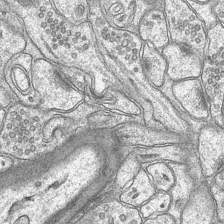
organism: Mouse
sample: CA1 Hippocampus